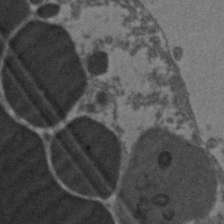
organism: Zebrafish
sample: Zebrafish embryo